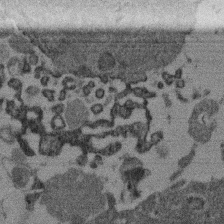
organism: Mouse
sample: Dividing mouse embryo 1 cell stage